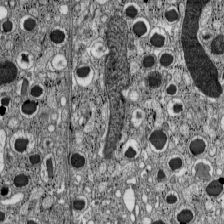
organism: C57BL Mouse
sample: Pancreatic islet